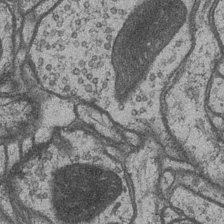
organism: Drosophila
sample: Optic medulla